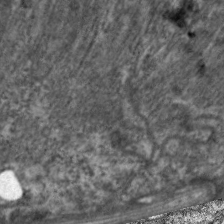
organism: C. elegans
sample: Pharynx